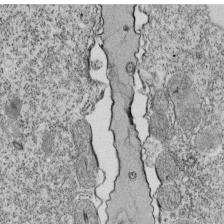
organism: Tetrahymena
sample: Cilia in tetrahymena